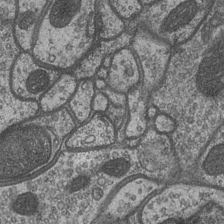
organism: Drosophila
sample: Optic medulla